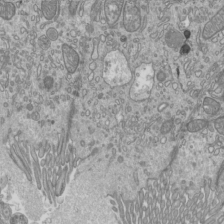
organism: Mouse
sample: Cilia; mouse epididymis